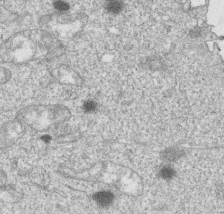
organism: Human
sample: HeLa cell HIV synapse